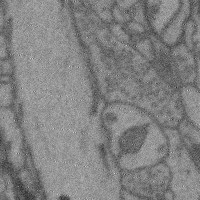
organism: Mouse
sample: Cerebral cortex